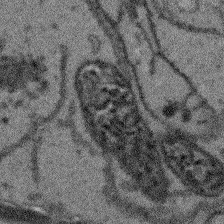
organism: Arabidopsis thaliana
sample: Root tip